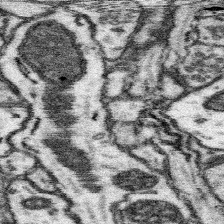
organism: Mouse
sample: Somatosensory cortex neuropil